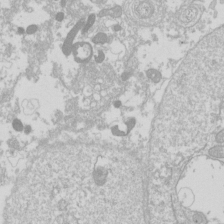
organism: Drosophila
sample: Cell division; meiosis; drosophila spermatocytes